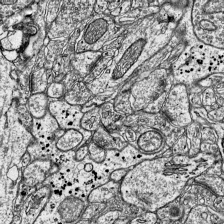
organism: Mouse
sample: Visual Cortex